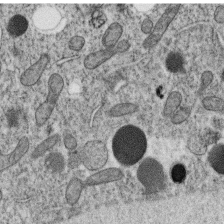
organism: C. elegans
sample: C. elegans oocyte; sperm cells